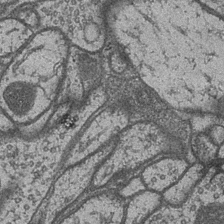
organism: Drosophila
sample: Optic medulla